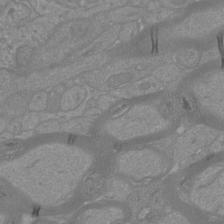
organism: Mouse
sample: Cortical neurons